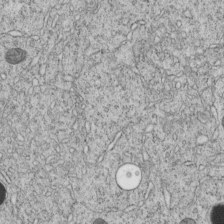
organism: C. elegans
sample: C. elegans embryo early stage